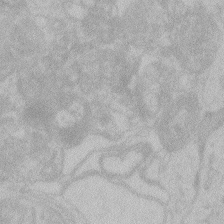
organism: Zebrafish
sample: Macrophage infected with Toxoplasma gondii